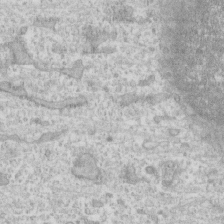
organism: Human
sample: CRL-1474